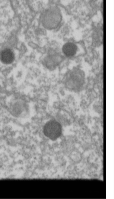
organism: Drosophila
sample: Cell division; meiosis; drosophila spermatocytes